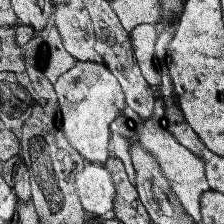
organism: Human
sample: Temporal Lobe